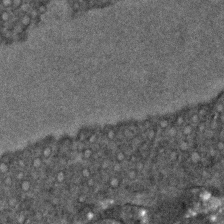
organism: C. elegans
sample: C. elegans embryo